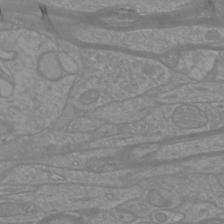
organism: Mouse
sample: Cortical neurons